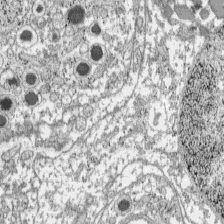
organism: C57BL Mouse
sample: Pancreatic islet